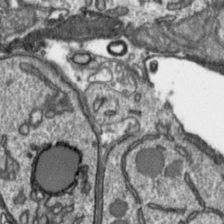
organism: Toxoplasma gondii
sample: Parasites in a vacuole inside a host cell